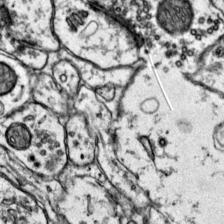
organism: Mouse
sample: Primary visual cortex